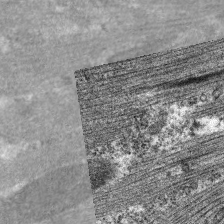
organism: C. elegans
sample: Pharynx